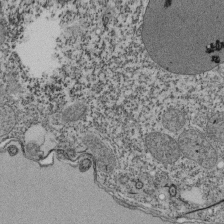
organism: Tetrahymena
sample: Cilia in tetrahymena